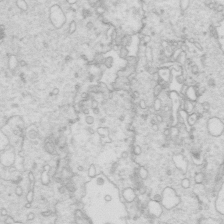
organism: Mouse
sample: Multiciliated cells